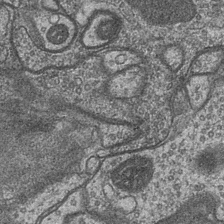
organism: Drosophila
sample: Optic medulla